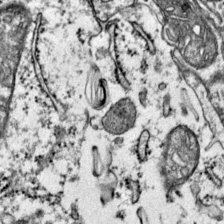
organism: Mouse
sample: Primary visual cortex